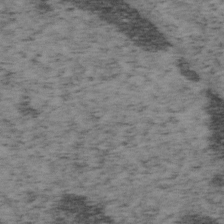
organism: Mouse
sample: OT-I killer T cells with ID8 ovarian cancer cells